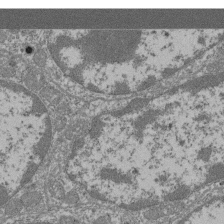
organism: Mouse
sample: Glomerulus